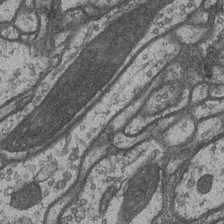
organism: Drosophila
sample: Optic medulla